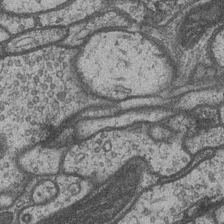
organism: Drosophila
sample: Optic medulla